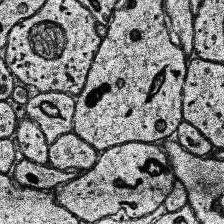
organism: Human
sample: Temporal Lobe